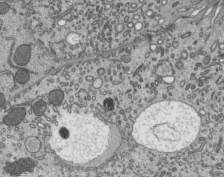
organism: Mouse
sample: Mouse epididymis efferent ductule cilia